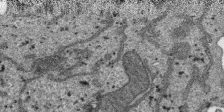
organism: Human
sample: Lung epithelial cells infected with SARS-CoV-2